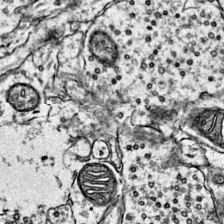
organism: Mouse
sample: Primary visual cortex